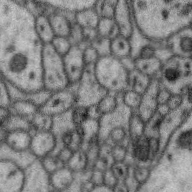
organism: Zebra finch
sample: Brain